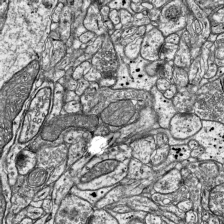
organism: Mouse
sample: Visual Cortex